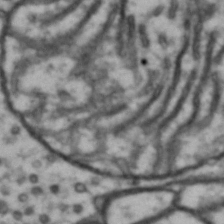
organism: Drosophila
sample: Brain